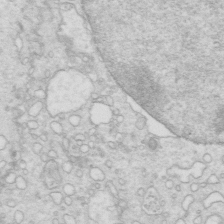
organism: Mouse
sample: Multiciliated cells